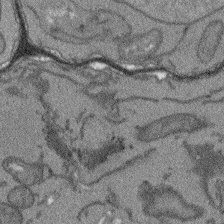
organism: Arabidopsis thaliana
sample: Root tip